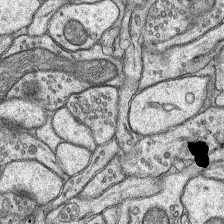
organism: Rat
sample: Hippocampus